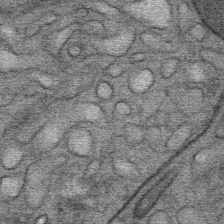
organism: Mouse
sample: Mouse Salivary gland